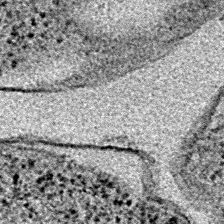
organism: E. coli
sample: E. Coli Bacteria